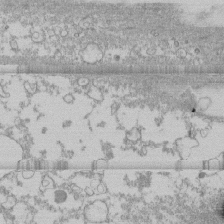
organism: Human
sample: CRL-1474